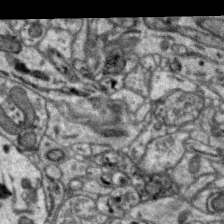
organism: Zebra finch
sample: Brain